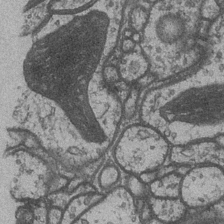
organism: Drosophila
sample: Optic medulla